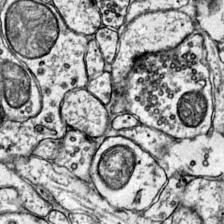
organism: Mouse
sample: Primary visual cortex